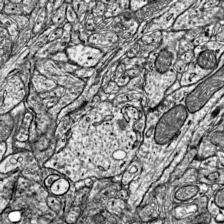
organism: Mouse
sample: Visual Cortex